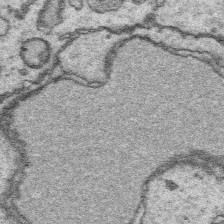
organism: Platynereis dumerilii